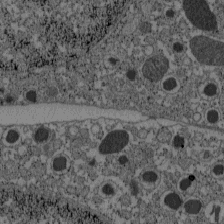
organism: C57BL Mouse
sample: Pancreatic islet